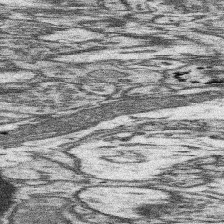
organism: Mouse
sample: Somatosensory cortex neuropil